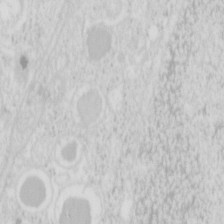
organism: Mouse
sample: Pancreas